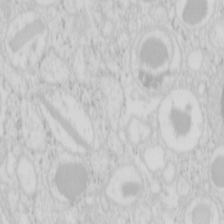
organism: Mouse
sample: Pancreas